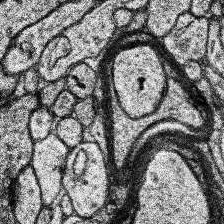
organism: Human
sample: Temporal Lobe